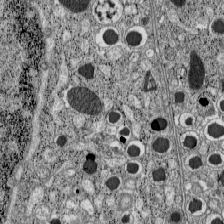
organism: C57BL Mouse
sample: Pancreatic islet